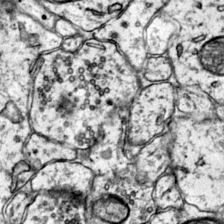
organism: Mouse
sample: Primary visual cortex